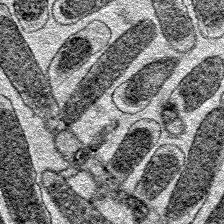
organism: E. coli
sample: E. Coli Bacteria